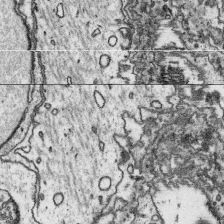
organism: Platynereis dumerilii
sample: Parapodia